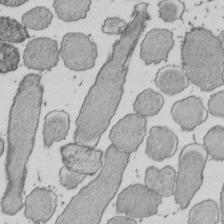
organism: E. coli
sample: Bacterial nucleoid